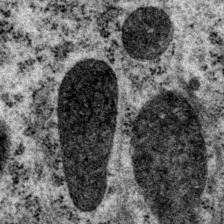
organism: P. pacificus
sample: Pharynx